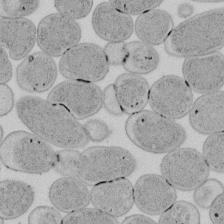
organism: E. coli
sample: Bacterial nucleoid